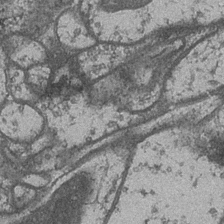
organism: Drosophila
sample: Optic medulla